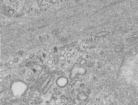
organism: Human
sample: Centriole in RPE cells